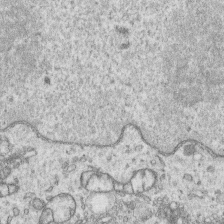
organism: Human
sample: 1205lu cells